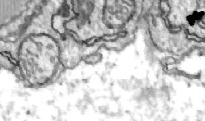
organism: Zebrafish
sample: Actinotrichia fibers